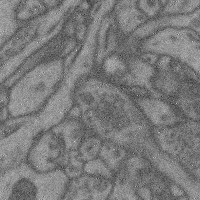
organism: Mouse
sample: Cerebral cortex